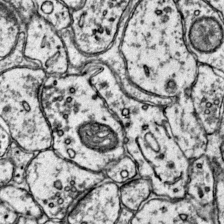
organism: Mouse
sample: Primary visual cortex